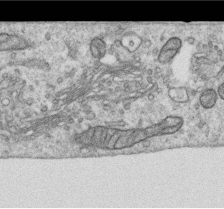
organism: Human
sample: Centriole in RPE cells